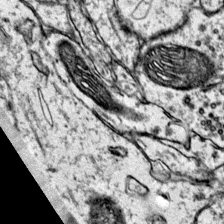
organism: Mouse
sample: Primary visual cortex